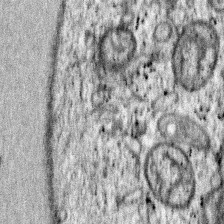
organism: Human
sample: HeLa cells